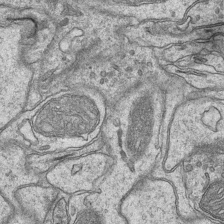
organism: Mouse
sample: CA1 Hippocampus